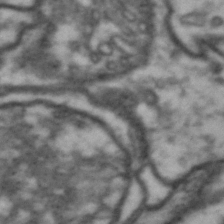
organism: Drosophila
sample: Brain